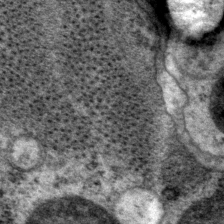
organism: P. pacificus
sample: Pharynx